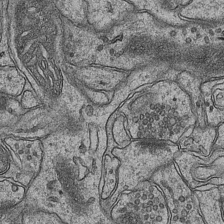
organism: Mouse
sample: CA1 Hippocampus